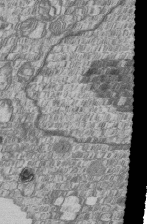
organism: Human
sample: MDA-MB-231 cells